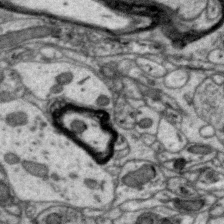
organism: Zebra finch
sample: Brain